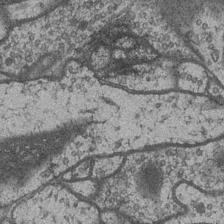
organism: Drosophila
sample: Optic medulla